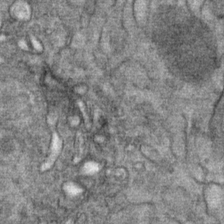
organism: Mouse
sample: Mouse Salivary gland